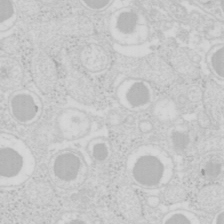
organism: Mouse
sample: Pancreas